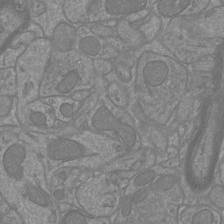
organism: Mouse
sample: Cortical neurons